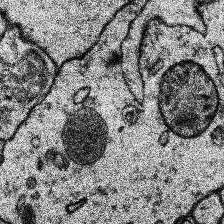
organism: Human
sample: Temporal Lobe